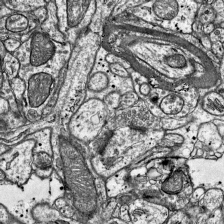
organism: Mouse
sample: Visual Cortex